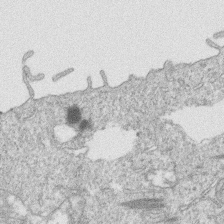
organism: Human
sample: HeLa cell HIV synapse